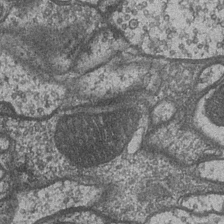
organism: Drosophila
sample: Optic medulla